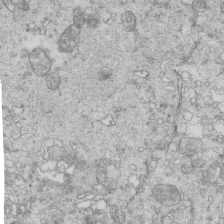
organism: Mouse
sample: Multiciliated cells